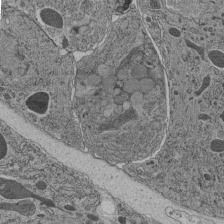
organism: C. elegans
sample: C. elegans pharynx